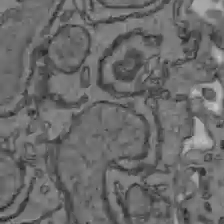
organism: C57BL Mouse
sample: Liver